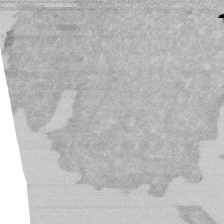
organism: Human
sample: HIV infected U937 cells